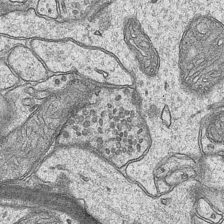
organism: Mouse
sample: CA1 Hippocampus